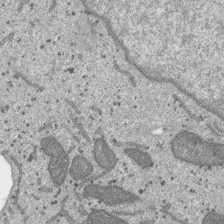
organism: Human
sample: Lung epithelial cells infected with SARS-CoV-2